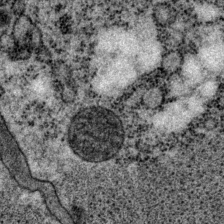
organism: P. pacificus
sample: Pharynx